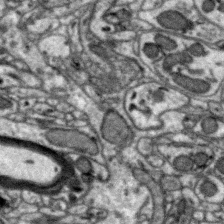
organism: Zebra finch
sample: Brain